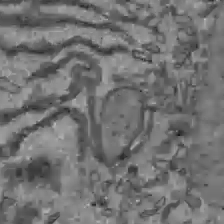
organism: C57BL Mouse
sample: Liver